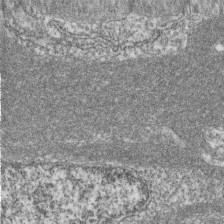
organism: Zebrafish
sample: Cilia; retinal pigment epithelium